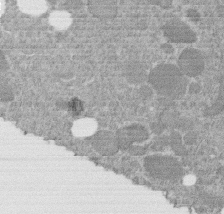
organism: C. elegans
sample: C. elegans embryo early stage